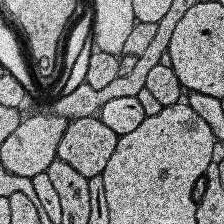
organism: Human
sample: Temporal Lobe